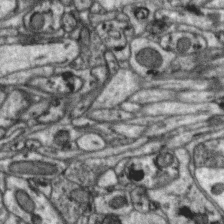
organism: Zebra finch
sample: Brain